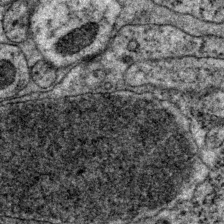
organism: P. pacificus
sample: Pharynx